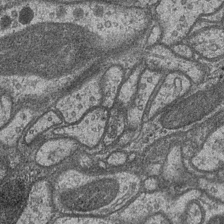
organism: Drosophila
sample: Optic medulla